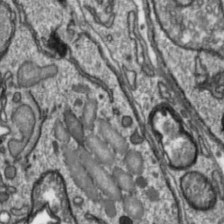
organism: Toxoplasma gondii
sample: Parasites in a vacuole inside a host cell